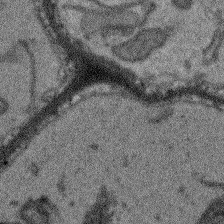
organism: Arabidopsis thaliana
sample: Root tip